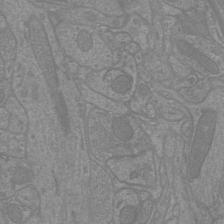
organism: Mouse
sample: Cortical neurons